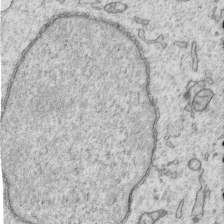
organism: Human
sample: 1205lu cells